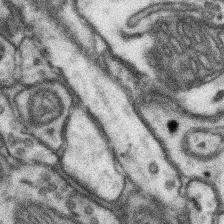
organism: Mouse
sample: Somatosensory cortex neuropil